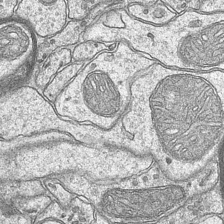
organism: Mouse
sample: CA1 Hippocampus